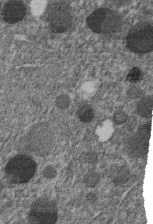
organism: C. elegans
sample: C. elegans embryo early stage